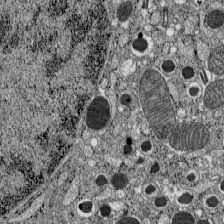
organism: C57BL Mouse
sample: Pancreatic islet